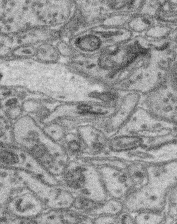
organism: Mouse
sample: Retina